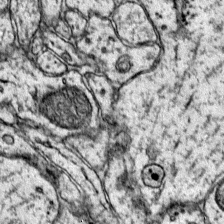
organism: Mouse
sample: Primary visual cortex